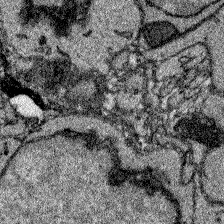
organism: Zebrafish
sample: Larval olfactory bulb